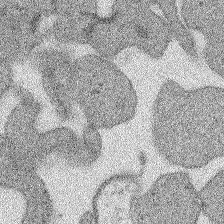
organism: Human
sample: HeLa cells